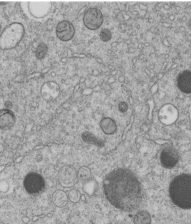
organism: C. elegans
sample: C. elegans embryo early stage